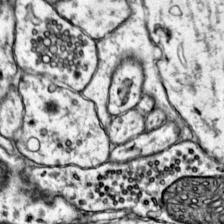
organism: Mouse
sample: Primary visual cortex